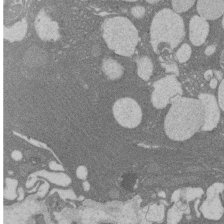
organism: Rat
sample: Salivary granule